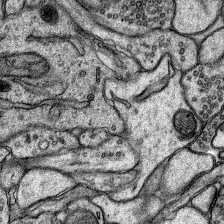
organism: Rat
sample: Hippocampus